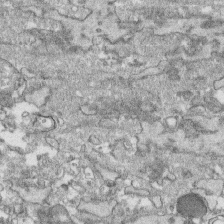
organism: Human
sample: CRL-1474